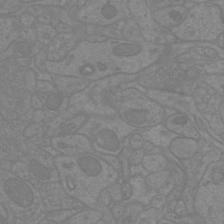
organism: Mouse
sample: Cortical neurons